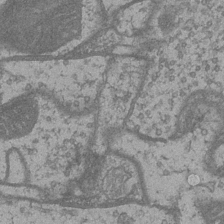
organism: Drosophila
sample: Optic medulla